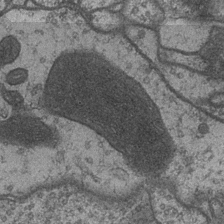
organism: Drosophila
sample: Optic medulla